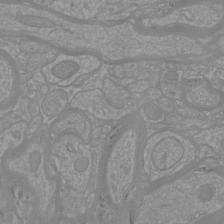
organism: Mouse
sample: Cortical neurons